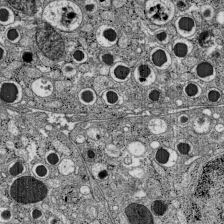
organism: C57BL Mouse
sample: Pancreatic islet